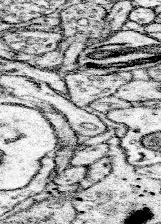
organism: Mouse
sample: Somatosensory cortex neuropil